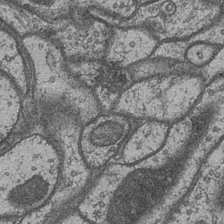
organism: Drosophila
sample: Optic medulla